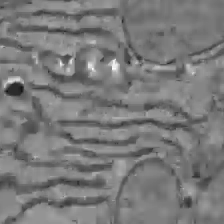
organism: C57BL Mouse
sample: Liver